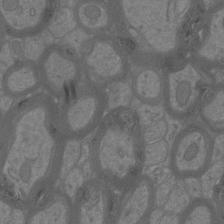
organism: Mouse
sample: Cortical neurons